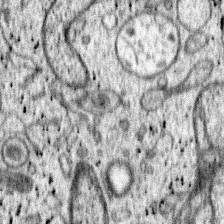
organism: Human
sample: HeLa cells